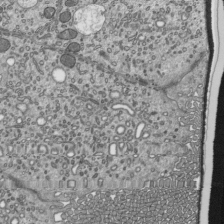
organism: Mouse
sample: Mouse epididymis efferent ductule cilia